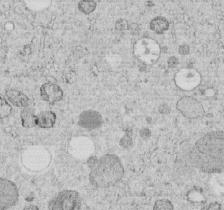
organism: C. elegans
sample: C. elegans embryo early stage